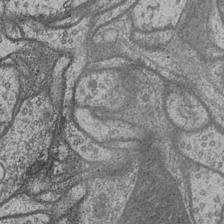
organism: Drosophila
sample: Optic medulla